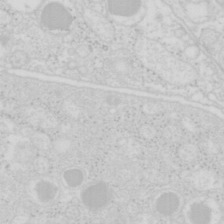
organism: Mouse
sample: Pancreas